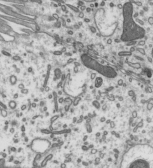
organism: Mouse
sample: Mouse epididymis efferent ductule cilia